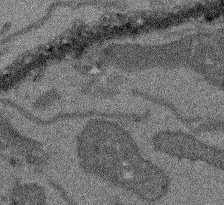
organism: Arabidopsis thaliana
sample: Root tip